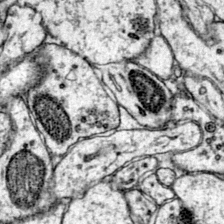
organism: Mouse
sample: Primary visual cortex